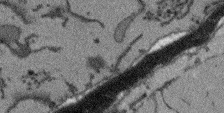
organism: Arabidopsis thaliana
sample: Root tip